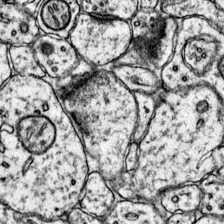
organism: Mouse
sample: Primary visual cortex